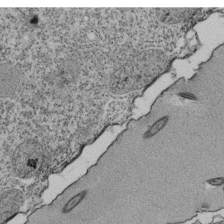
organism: Tetrahymena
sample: Cilia in tetrahymena